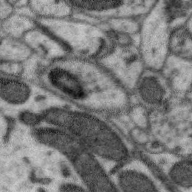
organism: Zebra finch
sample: Brain